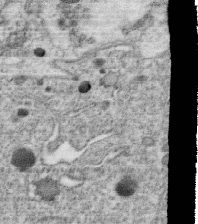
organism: C. elegans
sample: C. elegans oocyte; sperm cells